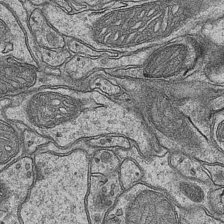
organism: Mouse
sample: CA1 Hippocampus